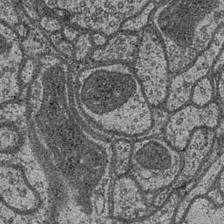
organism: Drosophila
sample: Optic medulla